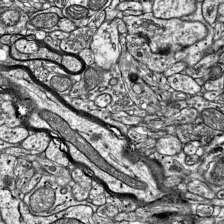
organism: Mouse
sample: Visual Cortex